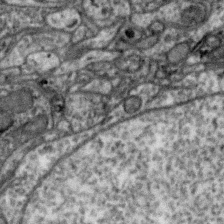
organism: Zebra finch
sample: Brain